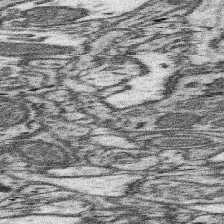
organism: Mouse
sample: Somatosensory cortex neuropil